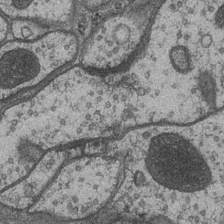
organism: Drosophila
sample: Optic medulla